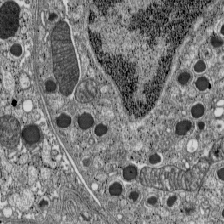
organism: C57BL Mouse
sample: Pancreatic islet